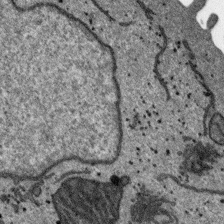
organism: Human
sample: Lung epithelial cells, uninfected (mock) control